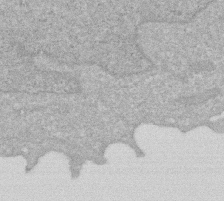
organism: Human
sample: HIV infected U937 cells